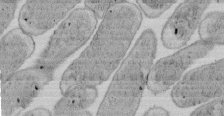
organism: E. coli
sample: Bacterial nucleoid